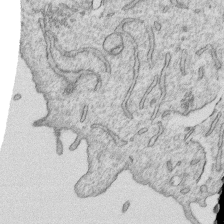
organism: Human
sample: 1205lu cells